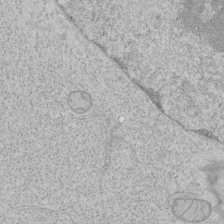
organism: Human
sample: Mitochondria in HCT116 cells